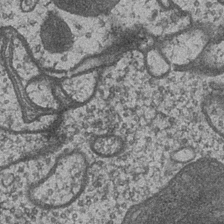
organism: Drosophila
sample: Optic medulla